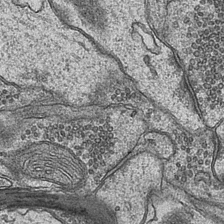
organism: Mouse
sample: CA1 Hippocampus